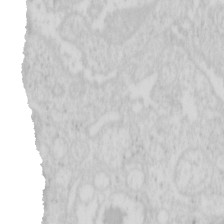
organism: Mouse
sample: Pancreas